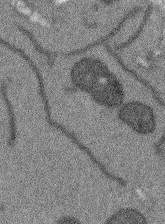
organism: Arabidopsis thaliana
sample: Root tip